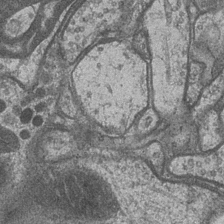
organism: Drosophila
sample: Optic medulla